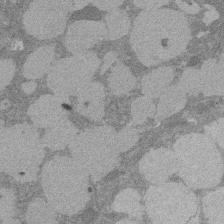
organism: Rat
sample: Salivary granule